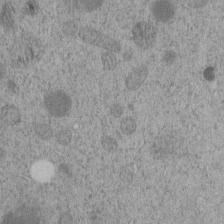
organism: C. elegans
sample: C. elegans embryo early stage